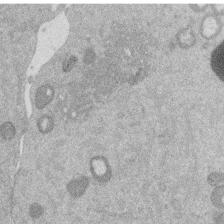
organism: Mouse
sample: Dividing mouse embryo 1 cell stage